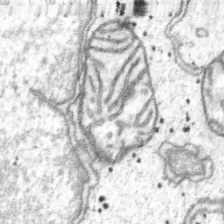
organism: Human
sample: HeLa cells